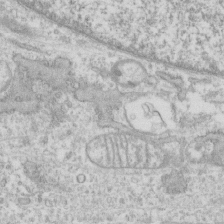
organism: Human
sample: CRL-1474